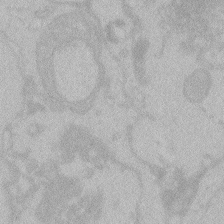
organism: Zebrafish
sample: Macrophage infected with Toxoplasma gondii